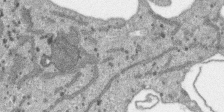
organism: Human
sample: Lung epithelial cells infected with SARS-CoV-2